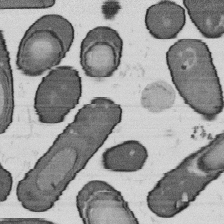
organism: B. subtilis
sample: Bacterial spore